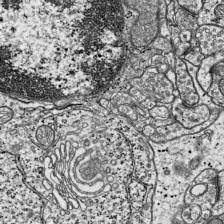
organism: Mouse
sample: Visual Cortex